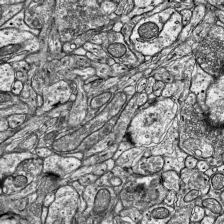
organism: Mouse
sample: Visual Cortex